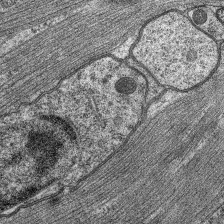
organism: C. elegans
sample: Pharynx